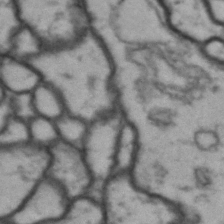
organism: Drosophila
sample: Brain